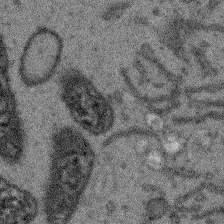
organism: Arabidopsis thaliana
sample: Root tip